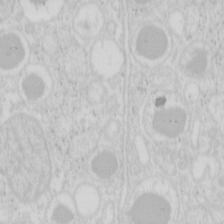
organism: Mouse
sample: Pancreas